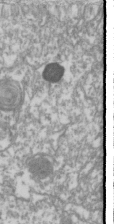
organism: Drosophila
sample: Cell division; meiosis; drosophila spermatocytes